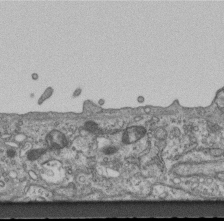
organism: Mouse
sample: Centriole in ependymal cells